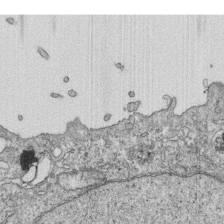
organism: Human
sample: HeLa cell HIV synapse